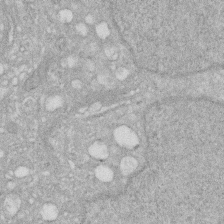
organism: Human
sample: HIV infected U937 cells